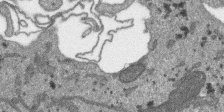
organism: Human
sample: Lung epithelial cells infected with SARS-CoV-2